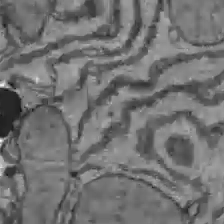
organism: C57BL Mouse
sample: Liver